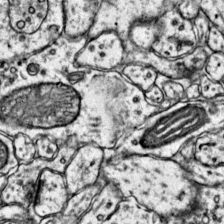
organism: Mouse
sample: Primary visual cortex